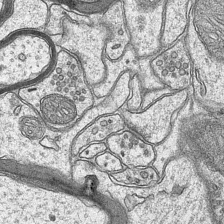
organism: Mouse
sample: CA1 Hippocampus